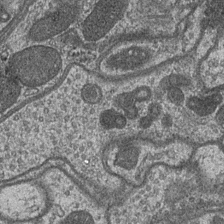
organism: Drosophila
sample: Optic medulla